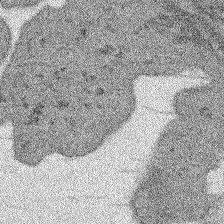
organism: Human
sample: HeLa cells